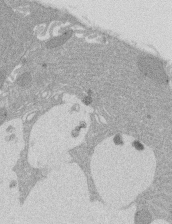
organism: Rat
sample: Salivary granule